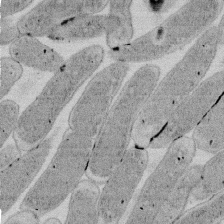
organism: E. coli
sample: Bacterial nucleoid